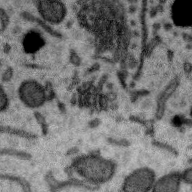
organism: Zebra finch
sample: Brain